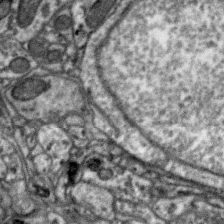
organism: Zebra finch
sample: Brain